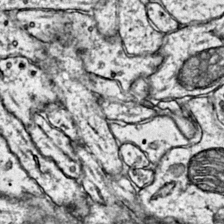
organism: Mouse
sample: Primary visual cortex